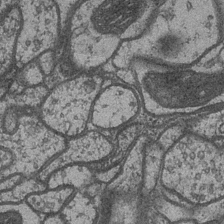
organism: Drosophila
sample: Optic medulla